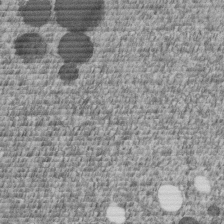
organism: C. elegans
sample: C. elegans embryo early stage